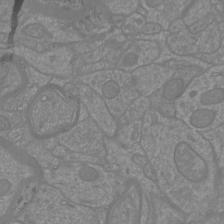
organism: Mouse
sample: Cortical neurons